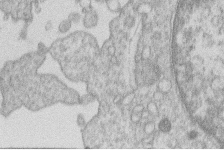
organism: Human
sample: Macrophage cells